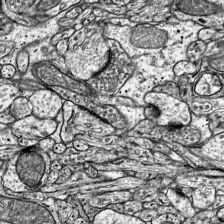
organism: Mouse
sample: Visual Cortex